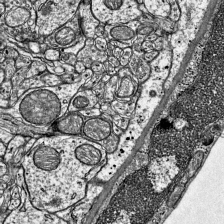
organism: Mouse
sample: Visual Cortex